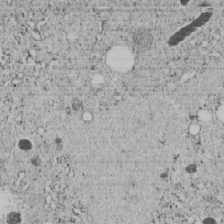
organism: C. elegans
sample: C. elegans embryo early stage